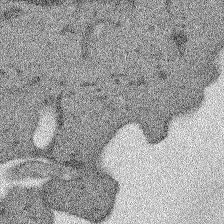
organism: Human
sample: HeLa cells